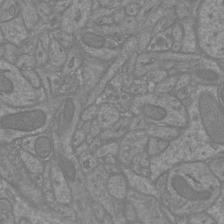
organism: Mouse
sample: Cortical neurons